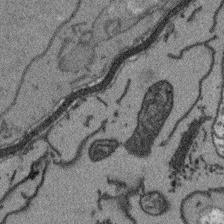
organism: Arabidopsis thaliana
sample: Root tip